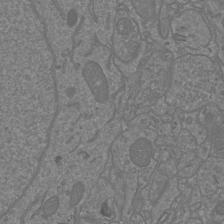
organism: Mouse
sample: Cortical neurons